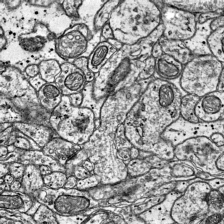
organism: Mouse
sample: Visual Cortex